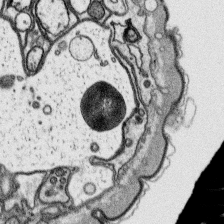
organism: Platynereis dumerilii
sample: Parapodia